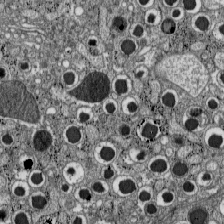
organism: C57BL Mouse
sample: Pancreatic islet